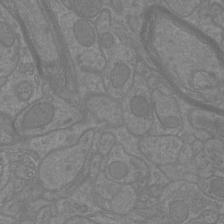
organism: Mouse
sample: Cortical neurons